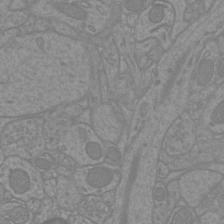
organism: Mouse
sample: Cortical neurons